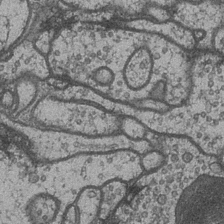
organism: Drosophila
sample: Optic medulla